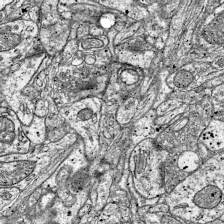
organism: Mouse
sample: Visual Cortex